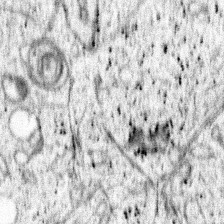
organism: Human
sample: HeLa cells